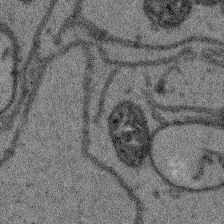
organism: Arabidopsis thaliana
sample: Root tip